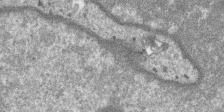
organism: Human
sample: Lung epithelial cells infected with SARS-CoV-2